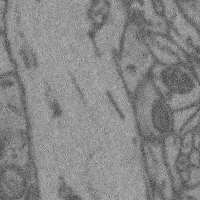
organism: Mouse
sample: Cerebral cortex